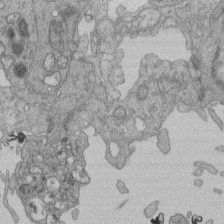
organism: Human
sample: Retinal organoid Rod and Cone cells